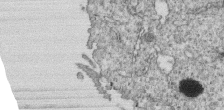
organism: Human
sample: HeLa cell HIV synapse